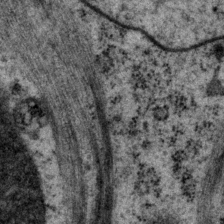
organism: P. pacificus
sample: Pharynx